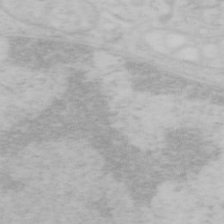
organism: Mouse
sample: OT-I killer T cells with ID8 ovarian cancer cells